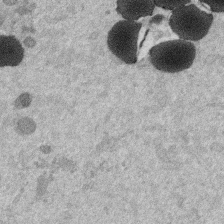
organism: Mouse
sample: Dividing mouse embryo 1 cell stage